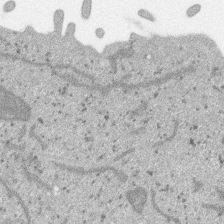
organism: Human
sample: Lung epithelial cells infected with SARS-CoV-2